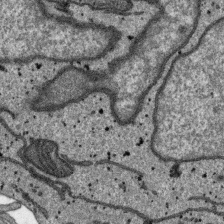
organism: Human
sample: Lung epithelial cells, uninfected (mock) control